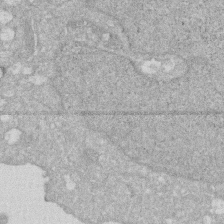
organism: Human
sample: HIV infected U937 cells